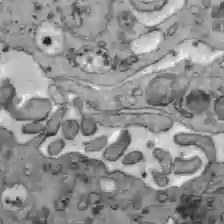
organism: C57BL Mouse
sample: Liver